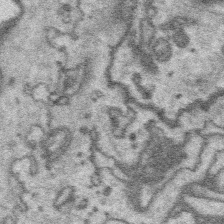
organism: Platynereis dumerilii